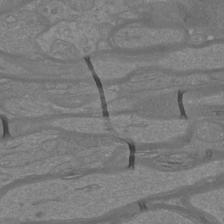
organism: Mouse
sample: Cortical neurons